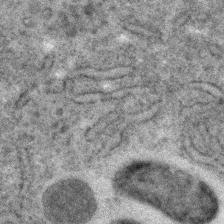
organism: C. elegans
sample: C. elegans embryo